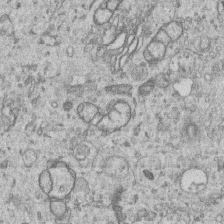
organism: Human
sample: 1205lu cells